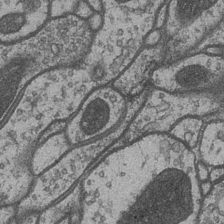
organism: Drosophila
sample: Optic medulla